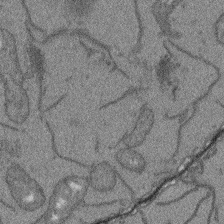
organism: Arabidopsis thaliana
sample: Root tip